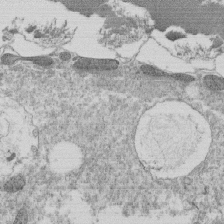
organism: Tetrahymena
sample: Cilia in tetrahymena